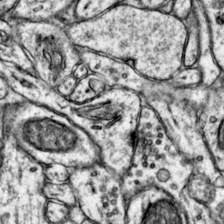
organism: Mouse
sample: Primary visual cortex